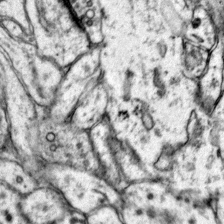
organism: Mouse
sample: Primary visual cortex